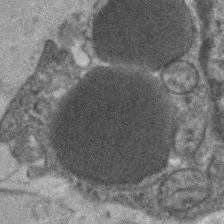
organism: Human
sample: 1205lu cells